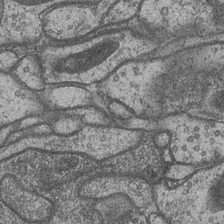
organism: Drosophila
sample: Optic medulla